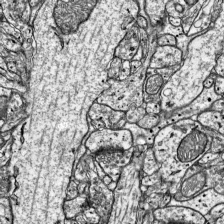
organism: Mouse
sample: Visual Cortex